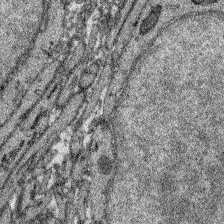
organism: Zebrafish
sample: Larval olfactory bulb